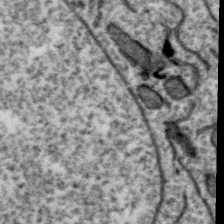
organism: Zebra finch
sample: Brain